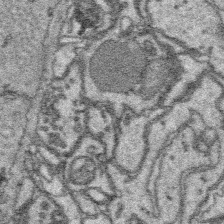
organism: Platynereis dumerilii